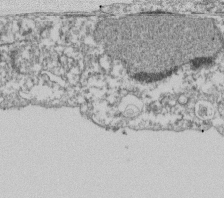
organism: Dictyostelium discoideum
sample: Dictyostelium multivesicular bodies